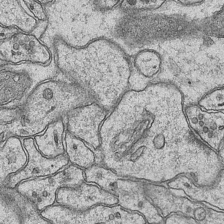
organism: Mouse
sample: CA1 Hippocampus